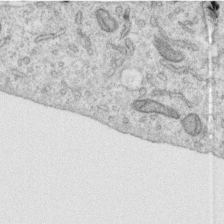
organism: Human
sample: Centriole in RPE cells